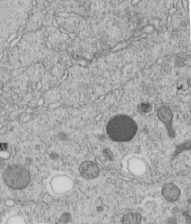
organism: C. elegans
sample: C. elegans embryo early stage